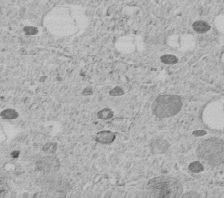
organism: C. elegans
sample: C. elegans embryo early stage